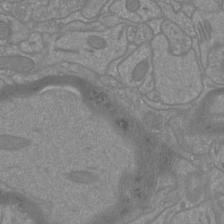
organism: Mouse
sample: Cortical neurons